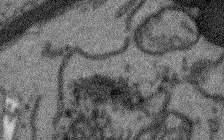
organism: Arabidopsis thaliana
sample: Root tip